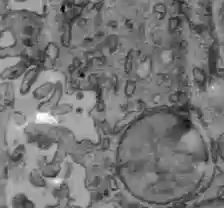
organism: C57BL Mouse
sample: Liver